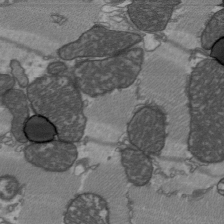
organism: C57BL Mouse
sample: Heart